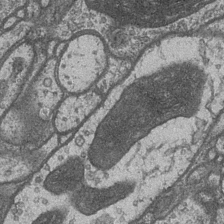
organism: Drosophila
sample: Optic medulla